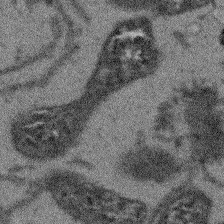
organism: Arabidopsis thaliana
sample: Root tip